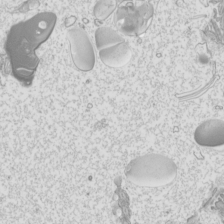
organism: Mouse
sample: Cilia; mouse epididymis